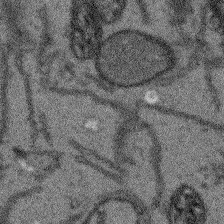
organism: Arabidopsis thaliana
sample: Root tip